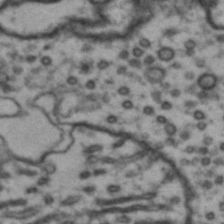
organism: Drosophila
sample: Brain